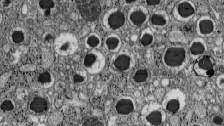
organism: C57BL Mouse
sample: Pancreatic islet